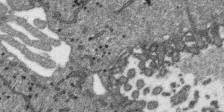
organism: Human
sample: Lung epithelial cells infected with SARS-CoV-2